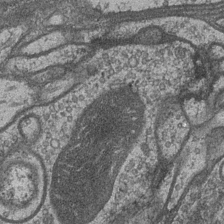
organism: Drosophila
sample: Optic medulla